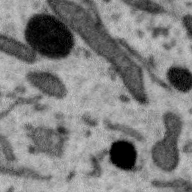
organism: Zebra finch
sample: Brain